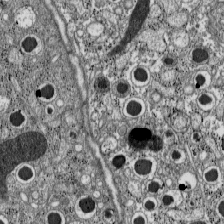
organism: C57BL Mouse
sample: Pancreatic islet